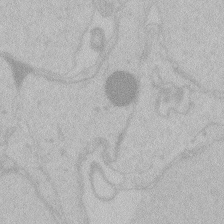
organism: Zebrafish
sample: Macrophage infected with Toxoplasma gondii